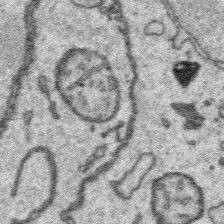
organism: Platynereis dumerilii